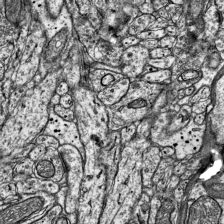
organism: Mouse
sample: Visual Cortex